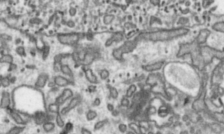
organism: Toxoplasma gondii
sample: Parasites in a vacuole inside a host cell